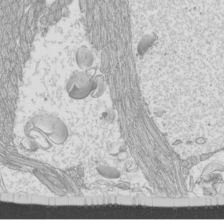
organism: Mouse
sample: Cilia; mouse epididymis